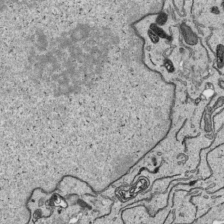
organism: Human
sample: Mitochondria in HCT116 cells